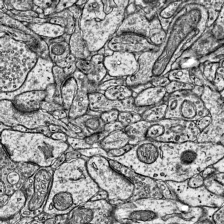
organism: Mouse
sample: Visual Cortex